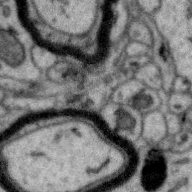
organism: Zebra finch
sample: Brain